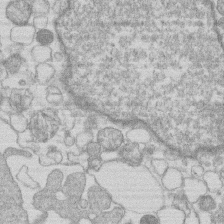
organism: Human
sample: Macrophage cells